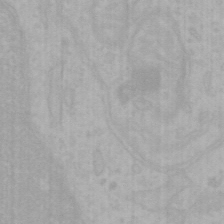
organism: Mouse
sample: Choroid plexus